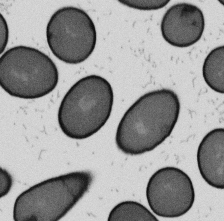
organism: B. subtilis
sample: Bacterial spore